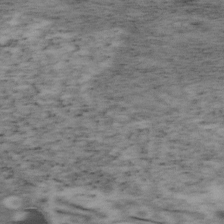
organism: Mouse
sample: OT-I killer T cells with ID8 ovarian cancer cells